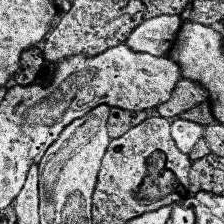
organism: Human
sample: Temporal Lobe